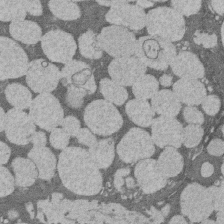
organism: Rat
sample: Salivary granule